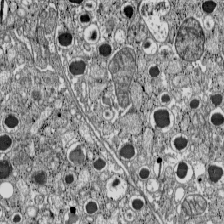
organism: C57BL Mouse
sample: Pancreatic islet